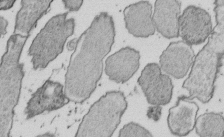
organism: E. coli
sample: Bacterial nucleoid